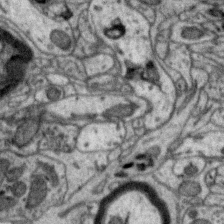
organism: Zebra finch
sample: Brain